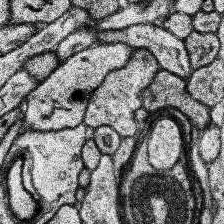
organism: Human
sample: Temporal Lobe